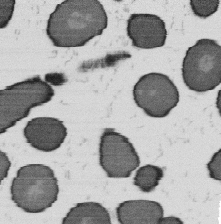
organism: B. subtilis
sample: Bacterial spore